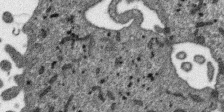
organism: Human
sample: Lung epithelial cells infected with SARS-CoV-2